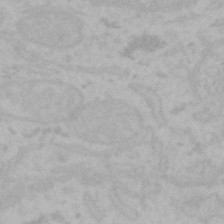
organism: Mouse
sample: Choroid plexus